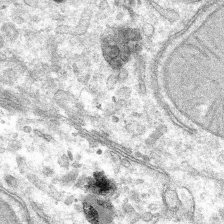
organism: Mouse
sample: Mouse hepatocytes